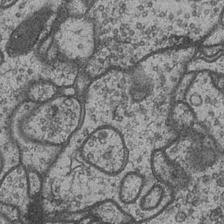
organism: Drosophila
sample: Optic medulla